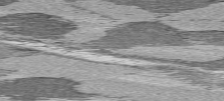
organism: C57BL Mouse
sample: Heart